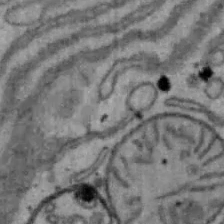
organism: Mouse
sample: Liver